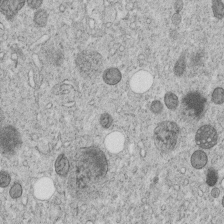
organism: C. elegans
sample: C. elegans embryo early stage